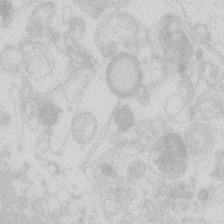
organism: Zebrafish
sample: Macrophage